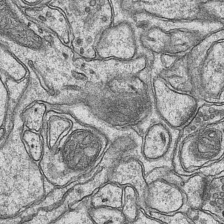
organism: Mouse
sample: CA1 Hippocampus